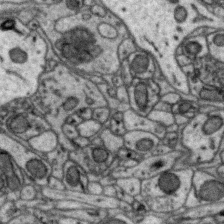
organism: Zebra finch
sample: Brain